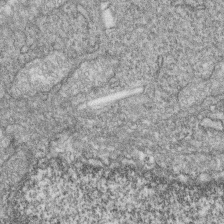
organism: Zebrafish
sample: Cilia; retinal pigment epithelium